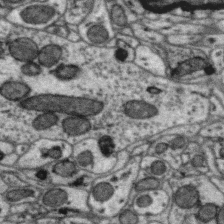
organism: Zebra finch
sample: Brain